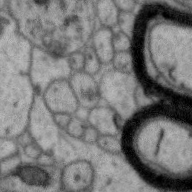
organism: Zebra finch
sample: Brain